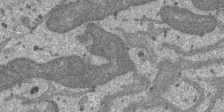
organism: Human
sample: Lung epithelial cells infected with SARS-CoV-2